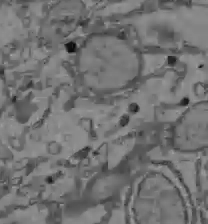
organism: C57BL Mouse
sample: Liver